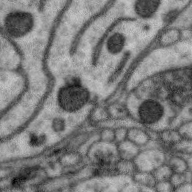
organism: Zebra finch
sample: Brain